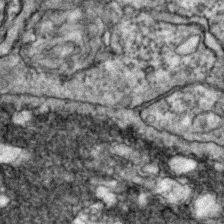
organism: Zebrafish